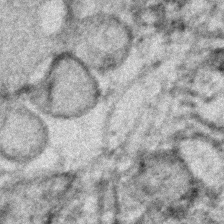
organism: Human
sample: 1205lu cells